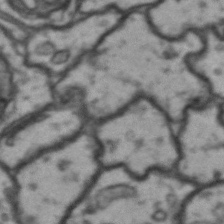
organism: Drosophila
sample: Brain